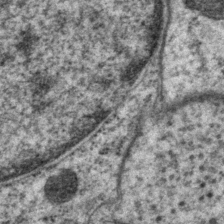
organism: P. pacificus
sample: Pharynx